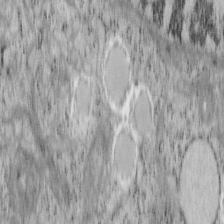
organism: Human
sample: HeLa cells